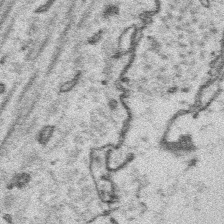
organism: Platynereis dumerilii